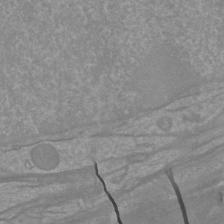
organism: Mouse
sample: Cortical neurons